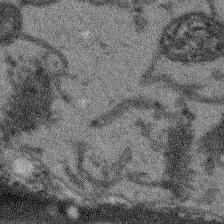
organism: Arabidopsis thaliana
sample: Root tip